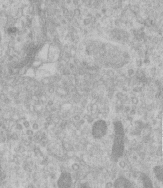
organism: Human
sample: Centriole in RPE cells